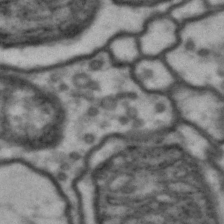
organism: Drosophila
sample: Brain